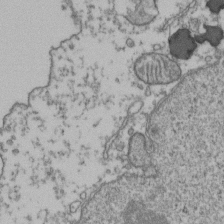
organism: Human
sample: Activated Jurkat CD4+ T cells